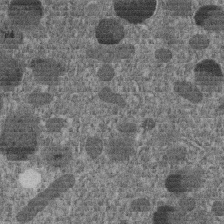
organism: C. elegans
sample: C. elegans embryo early stage